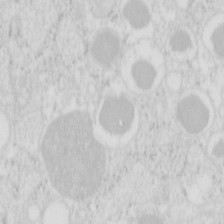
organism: Mouse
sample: Pancreas